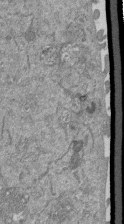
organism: Mouse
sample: ED-1 cell nuclei; centrioles